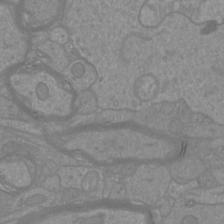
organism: Mouse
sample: Cortical neurons